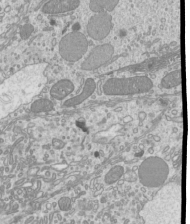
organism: Mouse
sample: Cilia; mouse epididymis